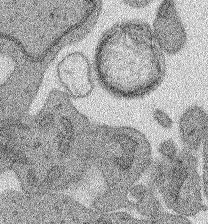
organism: Human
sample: HeLa cells